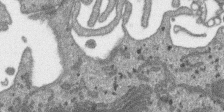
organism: Human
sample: Lung epithelial cells infected with SARS-CoV-2